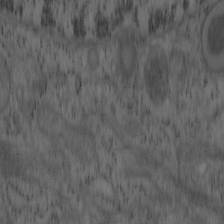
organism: Human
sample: HeLa cells